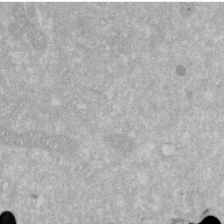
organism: Human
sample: HIV infected U937 cells